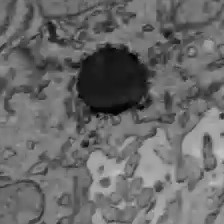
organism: C57BL Mouse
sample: Liver